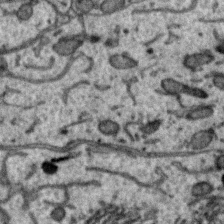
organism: Zebra finch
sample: Brain